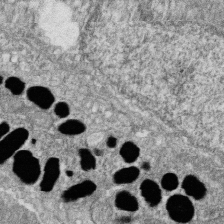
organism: Zebrafish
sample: Cilia; retinal pigment epithelium